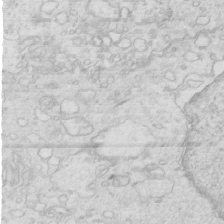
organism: Mouse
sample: Multiciliated cells